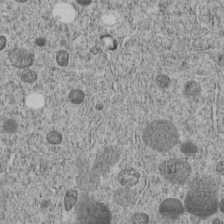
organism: C. elegans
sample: C. elegans embryo early stage